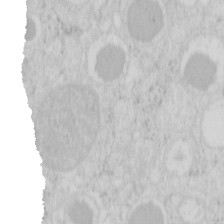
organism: Mouse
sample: Pancreas